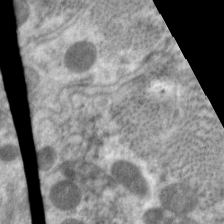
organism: C. elegans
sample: Pharynx